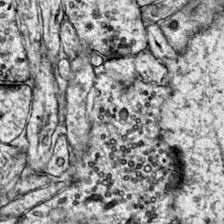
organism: Mouse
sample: Primary visual cortex